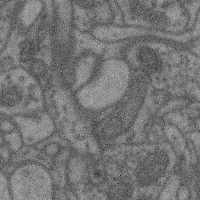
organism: Mouse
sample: Cerebral cortex